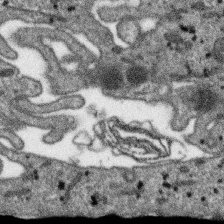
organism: Human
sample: Lung epithelial cells infected with SARS-CoV-2